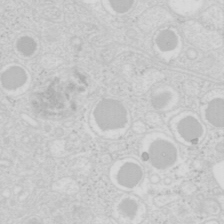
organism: Mouse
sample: Pancreas